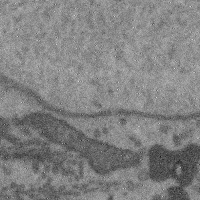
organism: Mouse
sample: Cerebral cortex